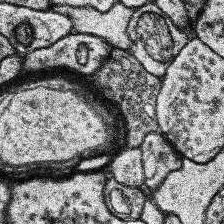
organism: Human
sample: Temporal Lobe